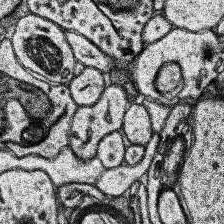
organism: Human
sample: Temporal Lobe